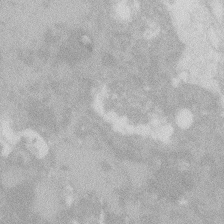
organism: Zebrafish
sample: Macrophage